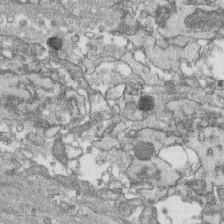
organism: Human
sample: CRL-1474